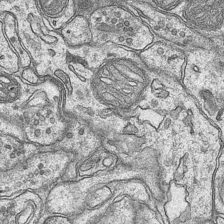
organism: Mouse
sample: CA1 Hippocampus